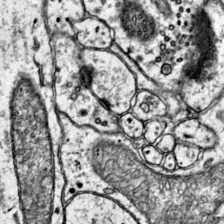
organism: Mouse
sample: Primary visual cortex